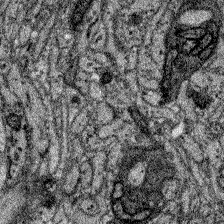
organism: Zebrafish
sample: Larval olfactory bulb